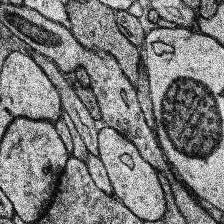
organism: Human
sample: Temporal Lobe